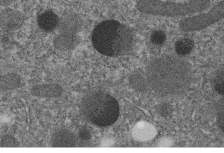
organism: C. elegans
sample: C. elegans embryo early stage